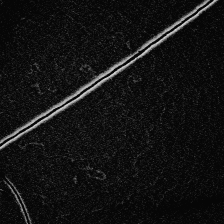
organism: Zebrafish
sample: Whole-Brain